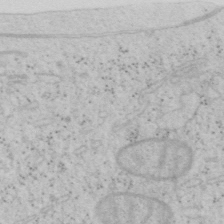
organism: Human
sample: HeLa cells